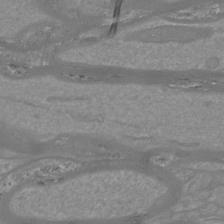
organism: Mouse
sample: Cortical neurons